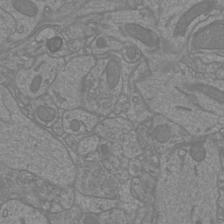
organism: Mouse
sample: Cortical neurons